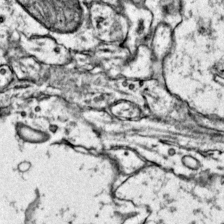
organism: Mouse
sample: Primary visual cortex